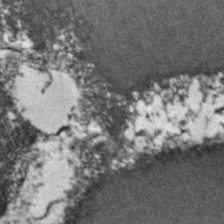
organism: Zebrafish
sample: Zebrafish embryo